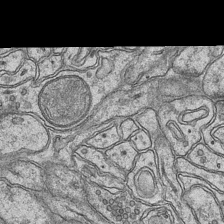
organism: Mouse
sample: CA1 Hippocampus